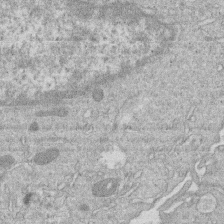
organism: Human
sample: Macrophage cells